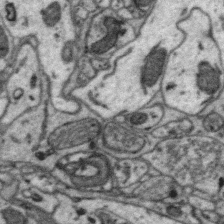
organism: Zebra finch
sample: Brain